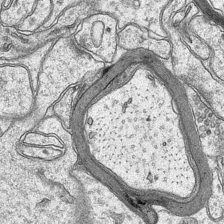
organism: Mouse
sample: CA1 Hippocampus